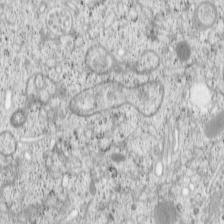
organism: African green monkey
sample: COS-7 cells